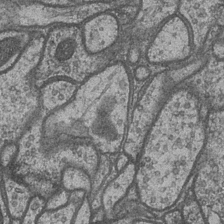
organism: Drosophila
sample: Optic medulla